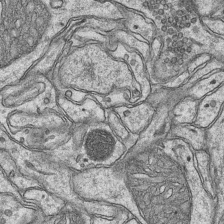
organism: Mouse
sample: CA1 Hippocampus